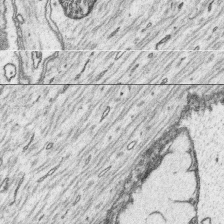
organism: Platynereis dumerilii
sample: Parapodia